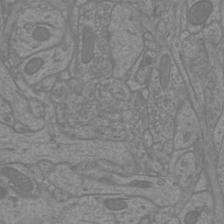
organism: Mouse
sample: Cortical neurons